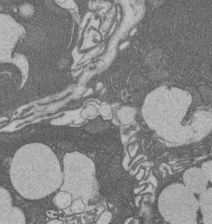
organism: Rat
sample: Salivary granule